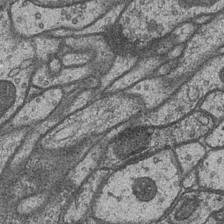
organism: Drosophila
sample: Optic medulla